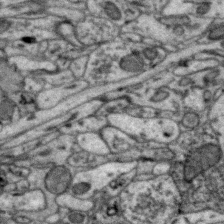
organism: Zebra finch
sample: Brain